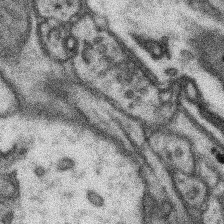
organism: Mouse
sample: Somatosensory cortex neuropil